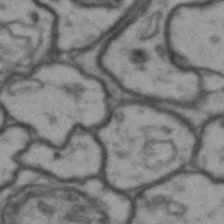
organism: Drosophila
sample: Brain